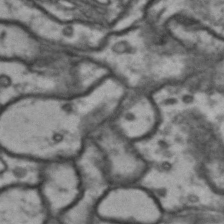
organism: Drosophila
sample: Brain